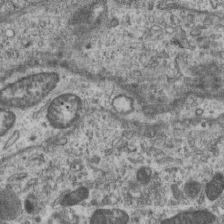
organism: Mouse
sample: Centriole in ependymal cells